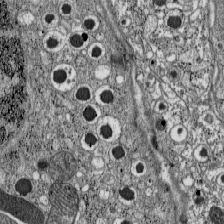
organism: C57BL Mouse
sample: Pancreatic islet